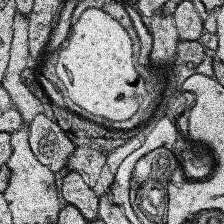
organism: Human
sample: Temporal Lobe